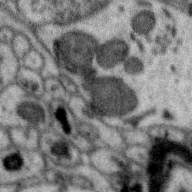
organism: Zebra finch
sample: Brain